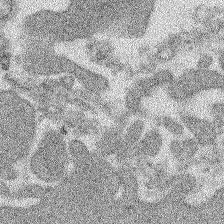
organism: Human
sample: HeLa cells